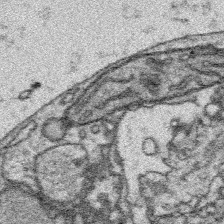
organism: Platynereis dumerilii